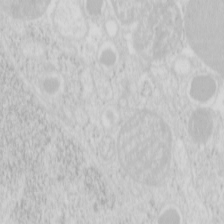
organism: Mouse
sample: Pancreas